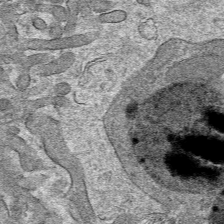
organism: Mouse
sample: Mouse hepatocytes